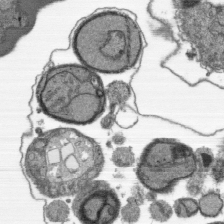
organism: Plasmodium falciparum